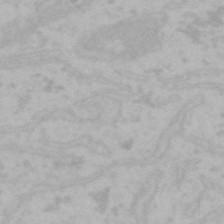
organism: Mouse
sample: Choroid plexus